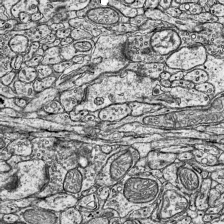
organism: Mouse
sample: Visual Cortex